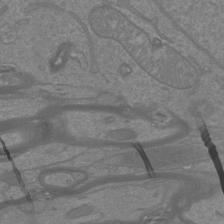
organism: Mouse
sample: Cortical neurons